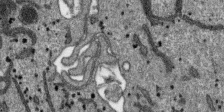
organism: Human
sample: Lung epithelial cells, uninfected (mock) control